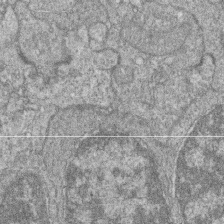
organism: Zebrafish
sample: Cilia; retinal pigment epithelium